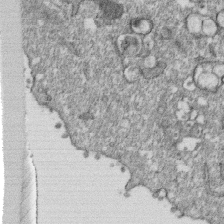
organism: African green monkey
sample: Vero E6 cells infected with SARS-CoV-2